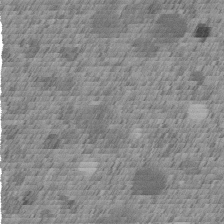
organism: C. elegans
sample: C. elegans embryo early stage